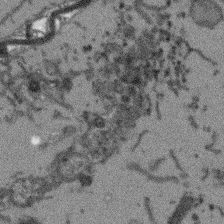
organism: Arabidopsis thaliana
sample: Root tip